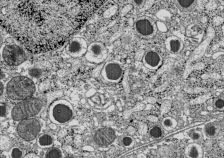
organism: C57BL Mouse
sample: Pancreatic islet